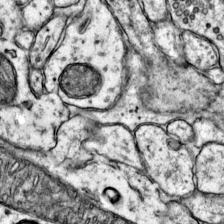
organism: Mouse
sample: Primary visual cortex